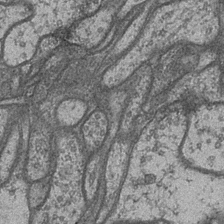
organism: Drosophila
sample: Optic medulla